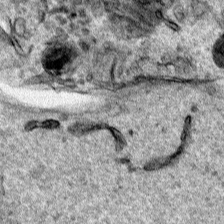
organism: Human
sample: Mitochondria in HCT116 cells